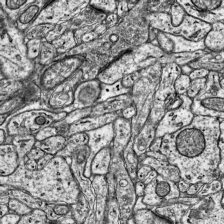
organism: Mouse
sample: Visual Cortex